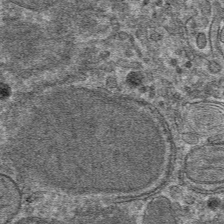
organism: Mouse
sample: Mouse hepatocytes